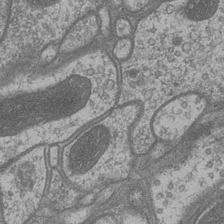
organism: Drosophila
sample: Optic medulla